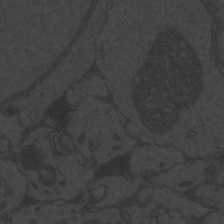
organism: Zebrafish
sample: Macrophage infected with Toxoplasma gondii